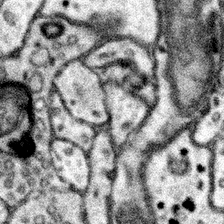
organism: Mouse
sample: Somatosensory cortex neuropil